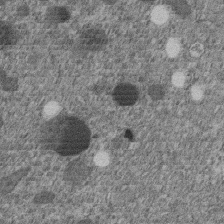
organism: C. elegans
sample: C. elegans embryo early stage